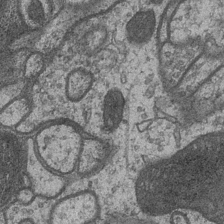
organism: Drosophila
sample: Optic medulla